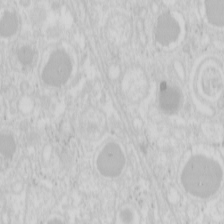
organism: Mouse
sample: Pancreas